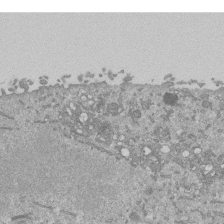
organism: Mouse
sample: ED-1 cell nuclei; centrioles